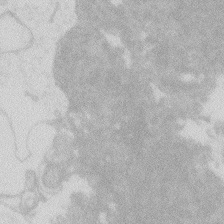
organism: Zebrafish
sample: Macrophage